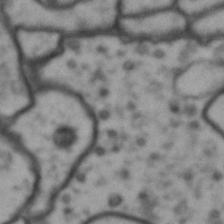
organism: Drosophila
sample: Brain